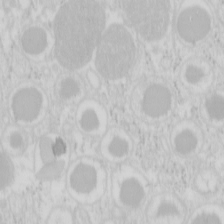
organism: Mouse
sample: Pancreas